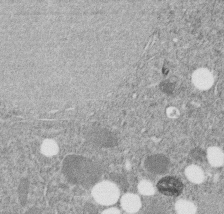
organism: C. elegans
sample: C. elegans embryo early stage